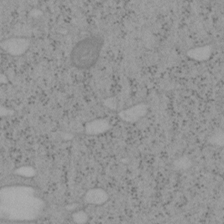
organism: Mouse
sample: OT-I killer T cells with ID8 ovarian cancer cells